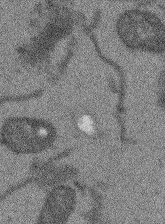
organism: Arabidopsis thaliana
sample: Root tip